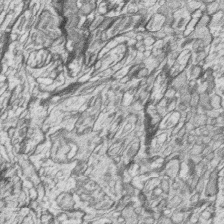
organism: Zebrafish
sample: synaptic ribbons in rod cells and cone cells